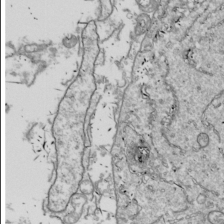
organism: Drosophila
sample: Cell division; meiosis; drosophila spermatocytes